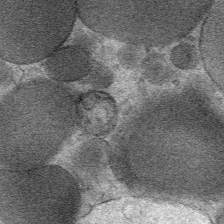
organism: Mouse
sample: Mouse Salivary gland